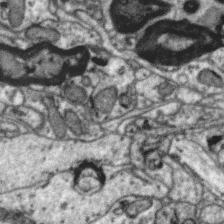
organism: Zebra finch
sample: Brain